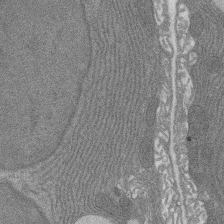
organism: Rat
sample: Salivary granule